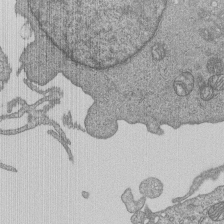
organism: Human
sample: MDA-MB-231 cells